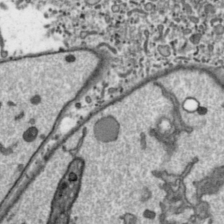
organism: Toxoplasma gondii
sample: Parasites in a vacuole inside a host cell